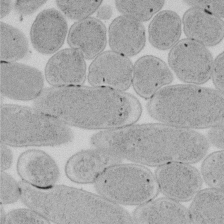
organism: E. coli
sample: Bacterial nucleoid